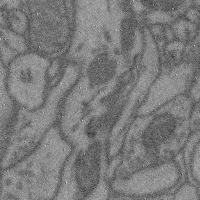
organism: Mouse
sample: Cerebral cortex